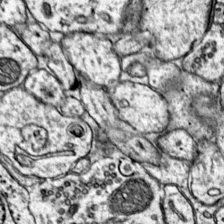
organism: Mouse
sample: Primary visual cortex